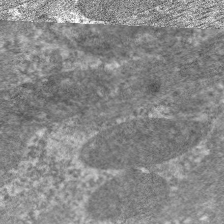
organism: C. elegans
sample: Pharynx